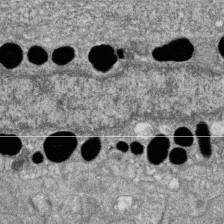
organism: Zebrafish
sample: Cilia; retinal pigment epithelium